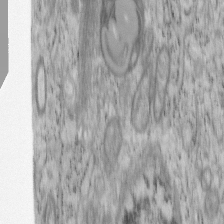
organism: Human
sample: HeLa cells